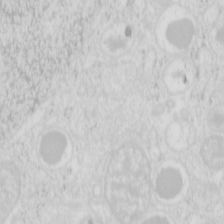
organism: Mouse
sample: Pancreas